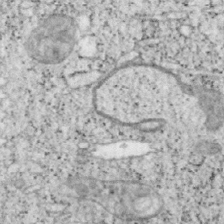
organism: Mouse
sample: OT-I killer T cells with ID8 ovarian cancer cells